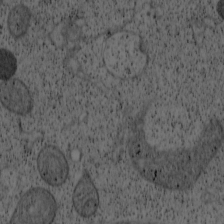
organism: African green monkey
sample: COS-7 cells